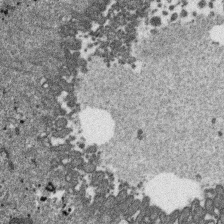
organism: Human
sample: Lung epithelial cells infected with SARS-CoV-2